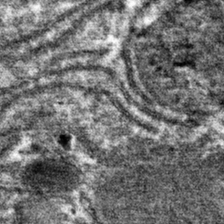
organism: Mouse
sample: Mouse hepatocytes